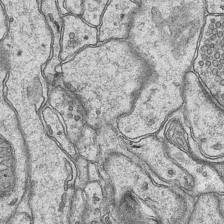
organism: Mouse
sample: CA1 Hippocampus